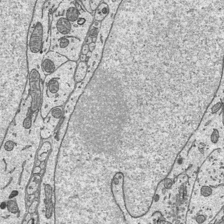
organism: Mouse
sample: Suprachiasmatic nucleus